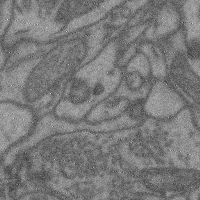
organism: Mouse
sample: Cerebral cortex